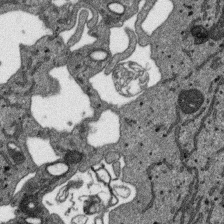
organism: Human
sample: Lung epithelial cells infected with SARS-CoV-2